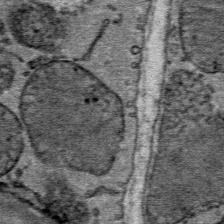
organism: Mouse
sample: Mouse Salivary gland